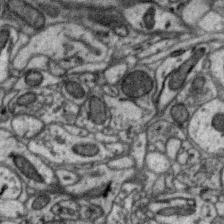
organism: Zebra finch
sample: Brain